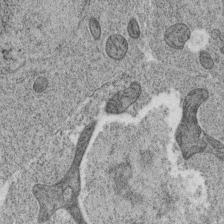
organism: C. elegans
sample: C. elegans oocyte; sperm cells